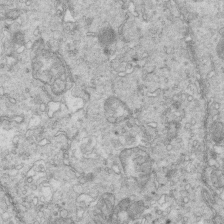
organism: Mouse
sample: Multiciliated cells